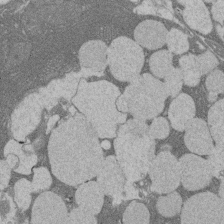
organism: Rat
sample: Salivary granule